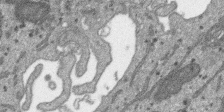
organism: Human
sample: Lung epithelial cells infected with SARS-CoV-2